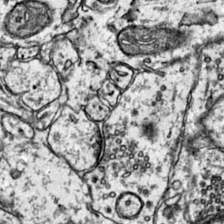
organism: Mouse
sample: Primary visual cortex